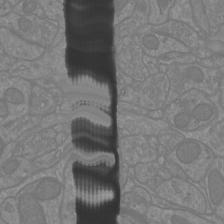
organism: Mouse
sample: Cortical neurons